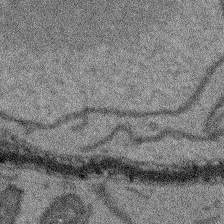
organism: Arabidopsis thaliana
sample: Root tip